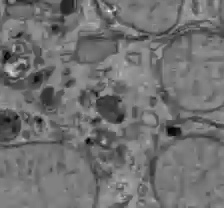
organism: C57BL Mouse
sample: Liver